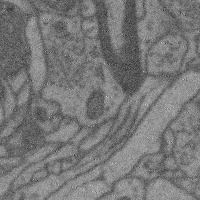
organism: Mouse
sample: Cerebral cortex